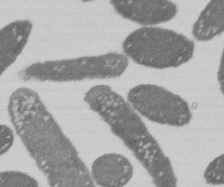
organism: E. coli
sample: Bacterial nucleoid